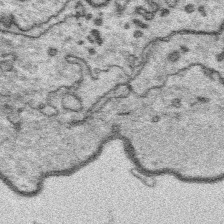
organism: Platynereis dumerilii